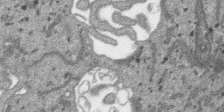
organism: Human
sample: Lung epithelial cells infected with SARS-CoV-2